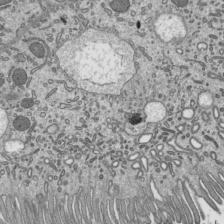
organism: Mouse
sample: Mouse epididymis efferent ductule cilia